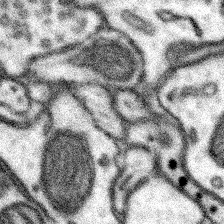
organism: Mouse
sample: Somatosensory cortex neuropil